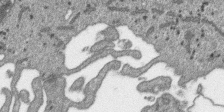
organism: Human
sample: Lung epithelial cells infected with SARS-CoV-2